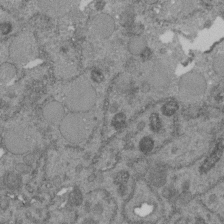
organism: C. elegans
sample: C. elegans embryo early stage